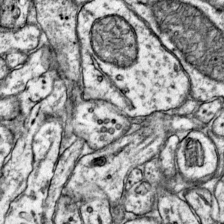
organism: Mouse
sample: Primary visual cortex